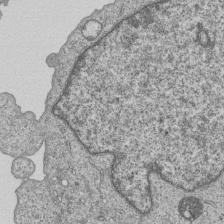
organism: Human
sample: MDA-MB-231 cells